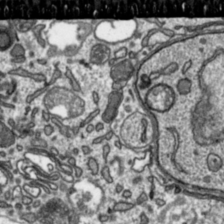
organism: Toxoplasma gondii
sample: Parasites in a vacuole inside a host cell